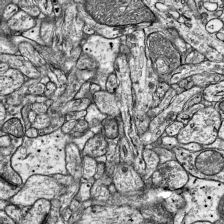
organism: Mouse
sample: Visual Cortex